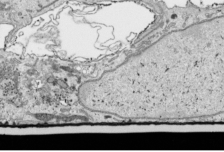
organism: Human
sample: Mitochondria in HCT116 cells